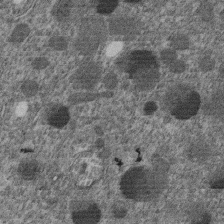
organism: C. elegans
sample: C. elegans embryo early stage